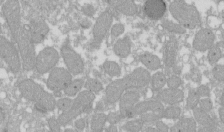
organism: Xenopus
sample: Cilia; centrioles in frog embryo cells